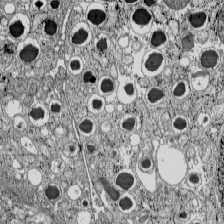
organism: C57BL Mouse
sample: Pancreatic islet